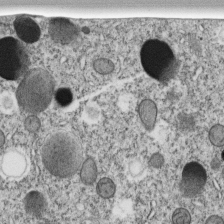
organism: C. elegans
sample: C. elegans embryo early stage